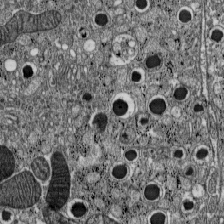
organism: C57BL Mouse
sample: Pancreatic islet